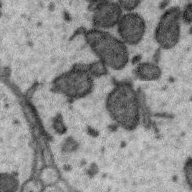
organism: Zebra finch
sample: Brain